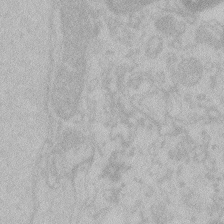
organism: Zebrafish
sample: Macrophage infected with Toxoplasma gondii